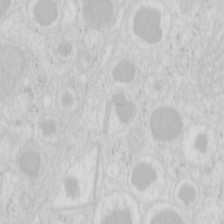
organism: Mouse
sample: Pancreas